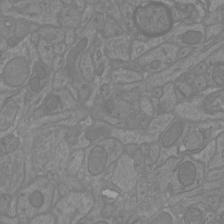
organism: Mouse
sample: Cortical neurons